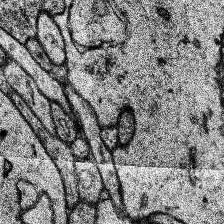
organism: Human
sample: Temporal Lobe